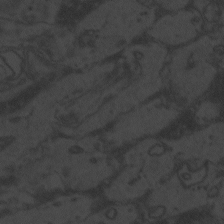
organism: Zebrafish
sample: Macrophage infected with Toxoplasma gondii